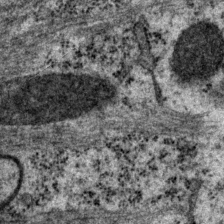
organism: P. pacificus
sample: Pharynx